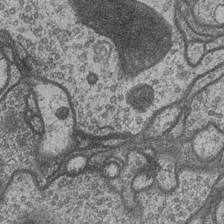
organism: Drosophila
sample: Optic medulla